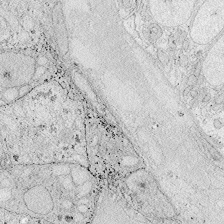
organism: Zebrafish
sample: Whole-Brain